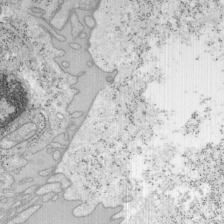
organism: Mouse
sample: OT-I killer T cells with ID8 ovarian cancer cells